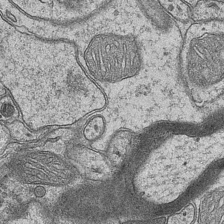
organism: Mouse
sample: CA1 Hippocampus